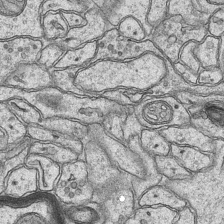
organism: Mouse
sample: CA1 Hippocampus